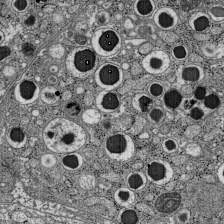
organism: C57BL Mouse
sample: Pancreatic islet